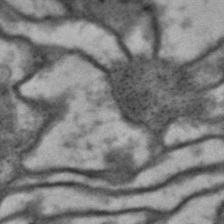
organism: Drosophila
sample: Brain